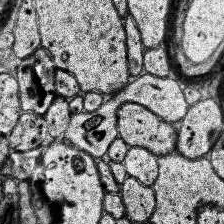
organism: Human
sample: Temporal Lobe